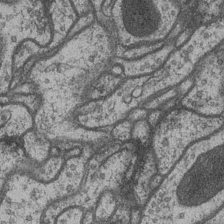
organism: Drosophila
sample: Optic medulla